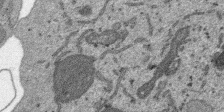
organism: Human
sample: Lung epithelial cells infected with SARS-CoV-2